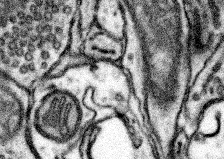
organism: Mouse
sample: Somatosensory cortex neuropil